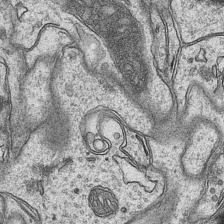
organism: Mouse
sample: CA1 Hippocampus